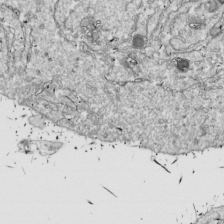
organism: Drosophila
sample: Cell division; meiosis; drosophila spermatocytes